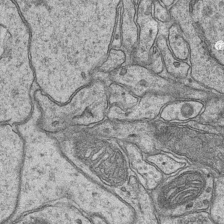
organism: Mouse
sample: CA1 Hippocampus